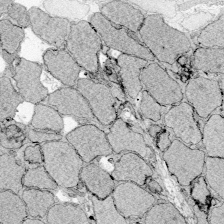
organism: Zebrafish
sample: Whole-Brain